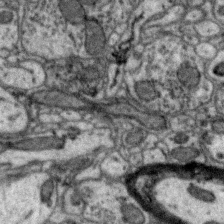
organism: Zebra finch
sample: Brain